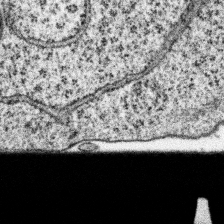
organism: Human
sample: HeLa cells